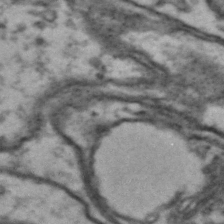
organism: Drosophila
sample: Brain